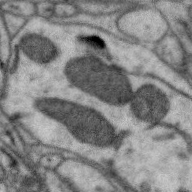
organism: Zebra finch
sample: Brain